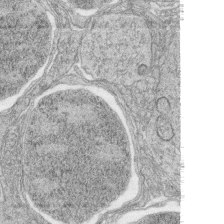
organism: Zebrafish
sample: synaptic ribbons in rod cells and cone cells